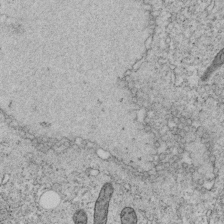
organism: C. elegans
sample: C. elegans embryo early stage